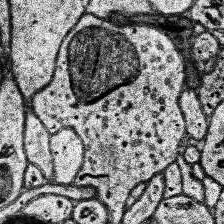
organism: Human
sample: Temporal Lobe